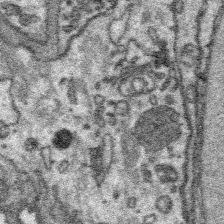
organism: Platynereis dumerilii